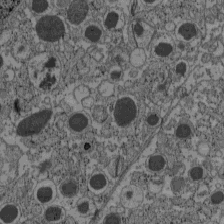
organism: C57BL Mouse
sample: Pancreatic islet